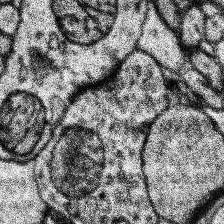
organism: Human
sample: Temporal Lobe